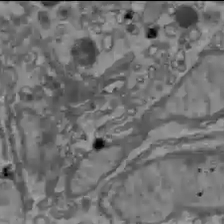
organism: C57BL Mouse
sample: Liver